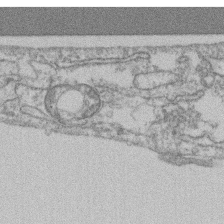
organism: Mouse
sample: T cell stromal cell synapse